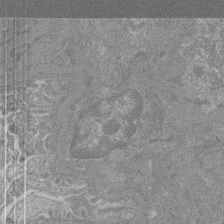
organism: Mouse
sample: Glomerulus